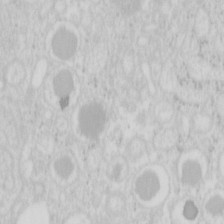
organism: Mouse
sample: Pancreas